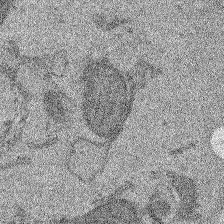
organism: Human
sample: HeLa cells